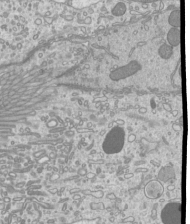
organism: Mouse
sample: Cilia; mouse epididymis